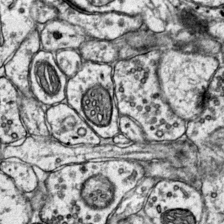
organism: Mouse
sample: Primary visual cortex